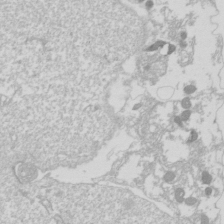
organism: Drosophila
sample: Cell division; meiosis; drosophila spermatocytes